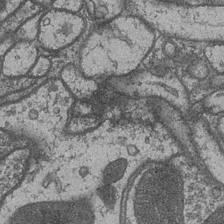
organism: Drosophila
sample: Optic medulla